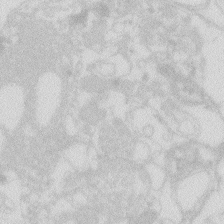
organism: Zebrafish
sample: Macrophage